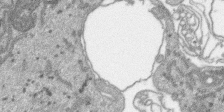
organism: Human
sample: Lung epithelial cells infected with SARS-CoV-2